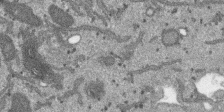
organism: Human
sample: Lung epithelial cells infected with SARS-CoV-2